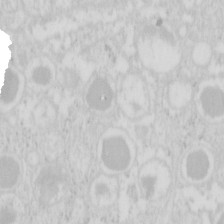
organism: Mouse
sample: Pancreas